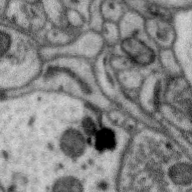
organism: Zebra finch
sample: Brain